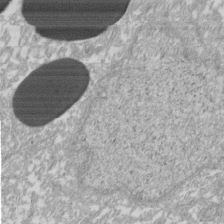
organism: Xenopus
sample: Cilia; centrioles in frog embryo cells